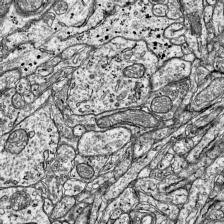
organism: Mouse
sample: Visual Cortex